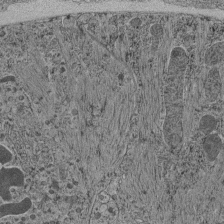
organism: C. elegans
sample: C. elegans pharynx